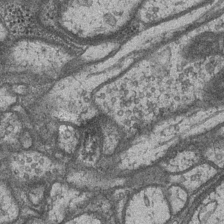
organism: Drosophila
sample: Optic medulla